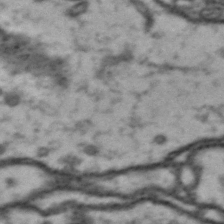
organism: Drosophila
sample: Brain